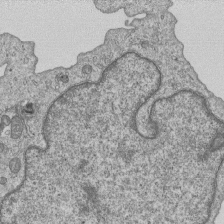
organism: Human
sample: MDA-MB-231 cells